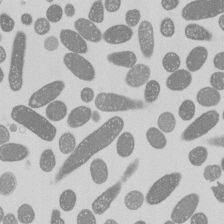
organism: E. coli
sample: Bacterial nucleoid